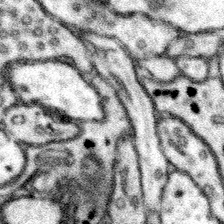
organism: Mouse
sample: Somatosensory cortex neuropil